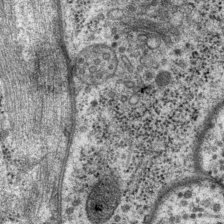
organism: P. pacificus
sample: Pharynx